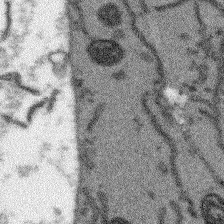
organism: Arabidopsis thaliana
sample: Root tip